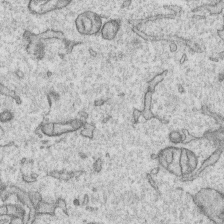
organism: Human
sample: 1205lu cells